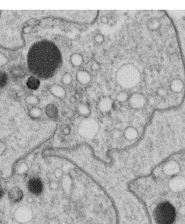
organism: C. elegans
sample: C. elegans oocyte; sperm cells